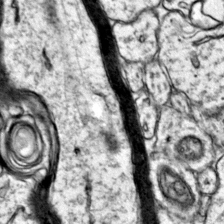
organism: Mouse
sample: Primary visual cortex